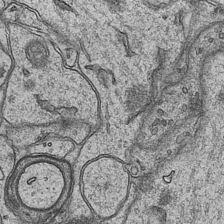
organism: Mouse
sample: CA1 Hippocampus